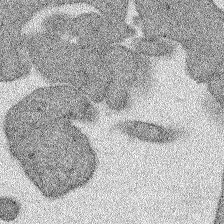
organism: Human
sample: HeLa cells